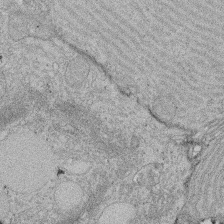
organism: Rat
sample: Salivary granule